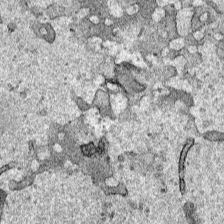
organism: Human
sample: Mitochondria in HCT116 cells